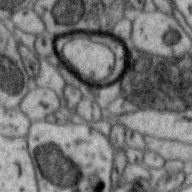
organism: Zebra finch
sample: Brain